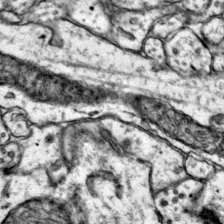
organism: Mouse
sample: Primary visual cortex